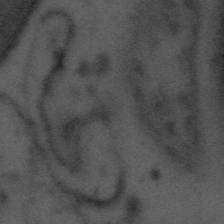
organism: Tuwongella immobilis